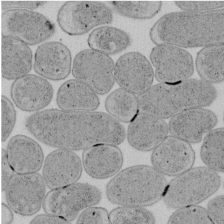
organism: E. coli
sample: Bacterial nucleoid